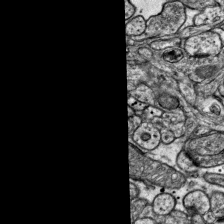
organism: Mouse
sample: Visual Cortex